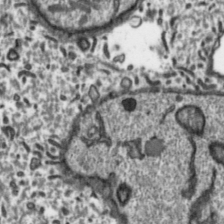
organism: Toxoplasma gondii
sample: Parasites in a vacuole inside a host cell